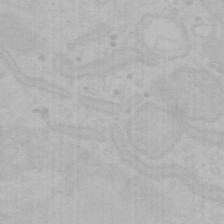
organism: Mouse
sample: Choroid plexus